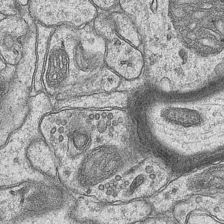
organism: Mouse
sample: CA1 Hippocampus